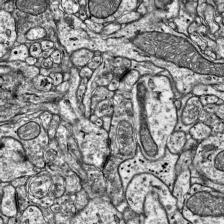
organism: Mouse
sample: Visual Cortex